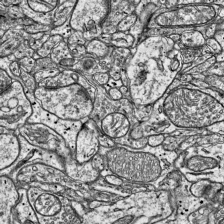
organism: Mouse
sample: Visual Cortex